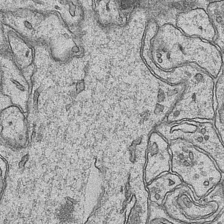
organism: Mouse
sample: CA1 Hippocampus